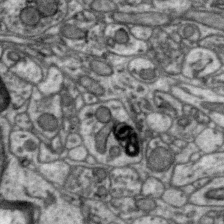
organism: Zebra finch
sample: Brain